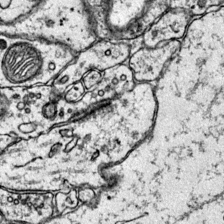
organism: Mouse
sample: Primary visual cortex